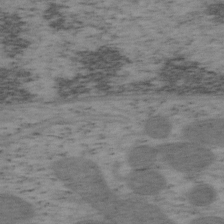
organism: Mouse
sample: OT-I killer T cells with ID8 ovarian cancer cells